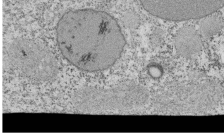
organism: Tetrahymena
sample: Cilia in tetrahymena